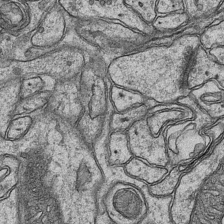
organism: Mouse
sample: CA1 Hippocampus